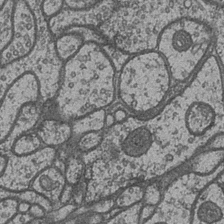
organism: Drosophila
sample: Optic medulla